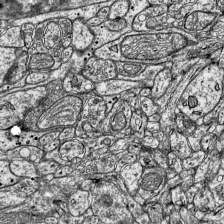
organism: Mouse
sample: Visual Cortex